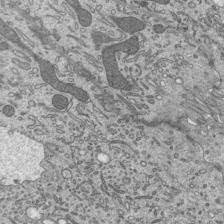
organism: Mouse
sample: Mouse epididymis efferent ductule cilia